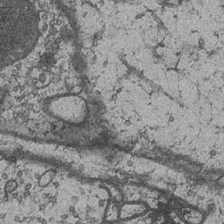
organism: Drosophila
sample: Optic medulla